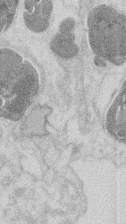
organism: Mouse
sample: T cell stromal cell synapse